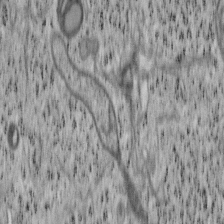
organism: Human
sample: HeLa cells